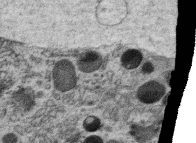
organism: C. elegans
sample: C. elegans oocyte; sperm cells